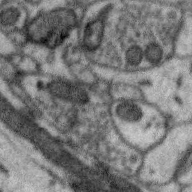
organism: Zebra finch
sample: Brain